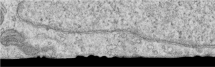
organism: Human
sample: Centriole in RPE cells